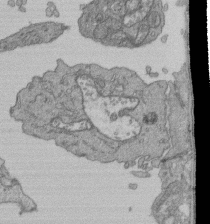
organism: Human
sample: Retinal organoid Rod and Cone cells